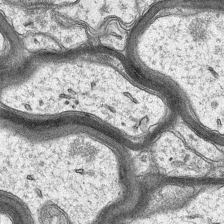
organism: Mouse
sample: CA1 Hippocampus